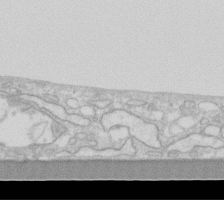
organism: Human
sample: Fibroblast cells